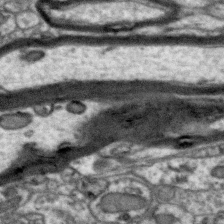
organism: Zebra finch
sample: Brain